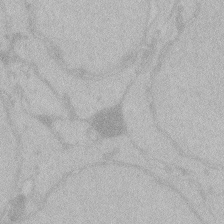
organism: Zebrafish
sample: Macrophage infected with Toxoplasma gondii